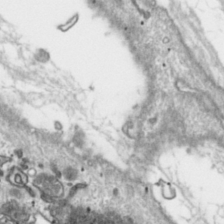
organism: Toxoplasma gondii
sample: Parasites in a vacuole inside a host cell